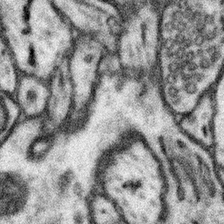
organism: Mouse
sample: Somatosensory cortex neuropil